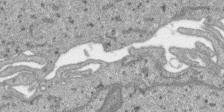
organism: Human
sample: Lung epithelial cells infected with SARS-CoV-2